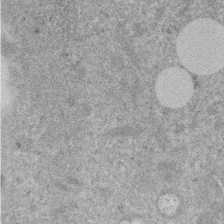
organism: Mouse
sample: Dividing mouse embryo 1 cell stage